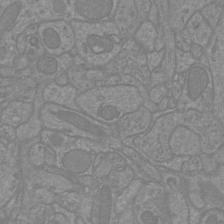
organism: Mouse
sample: Cortical neurons